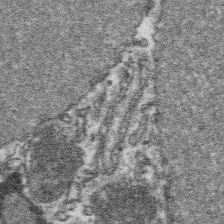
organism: Platynereis dumerilii